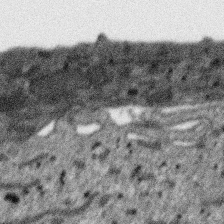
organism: Human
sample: Lung epithelial cells infected with SARS-CoV-2